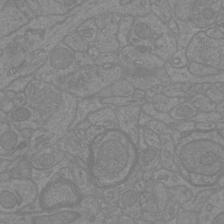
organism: Mouse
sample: Cortical neurons